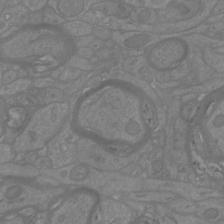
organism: Mouse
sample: Cortical neurons